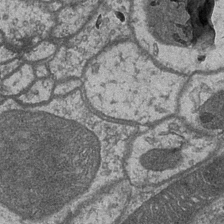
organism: Drosophila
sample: Optic medulla